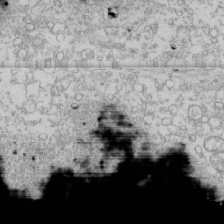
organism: Human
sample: CRL-1474